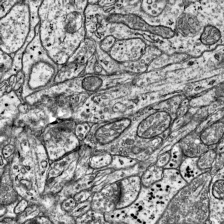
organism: Mouse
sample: Visual Cortex